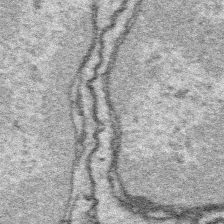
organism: Platynereis dumerilii